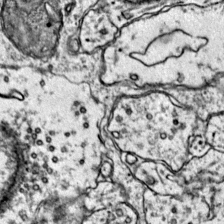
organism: Mouse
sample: Primary visual cortex